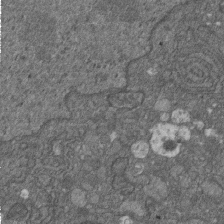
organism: Drosophila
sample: Nephrocyte